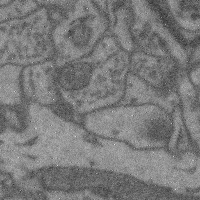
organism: Mouse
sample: Cerebral cortex